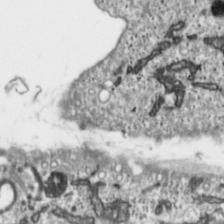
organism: Toxoplasma gondii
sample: Parasites in a vacuole inside a host cell